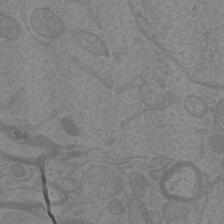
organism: Mouse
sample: Cortical neurons